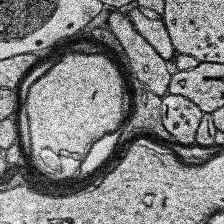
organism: Human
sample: Temporal Lobe